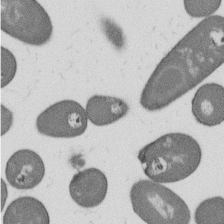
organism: B. subtilis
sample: Bacterial spore